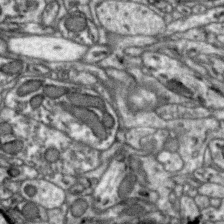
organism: Zebra finch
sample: Brain